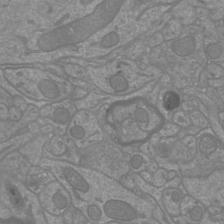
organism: Mouse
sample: Cortical neurons